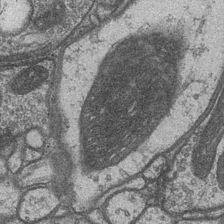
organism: Drosophila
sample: Optic medulla